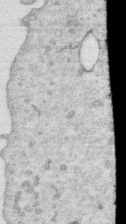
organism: Human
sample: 1205lu cells